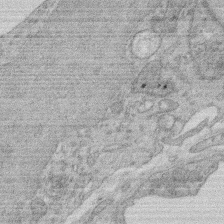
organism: Rat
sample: Salivary granule